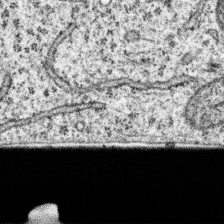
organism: Human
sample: HeLa cells